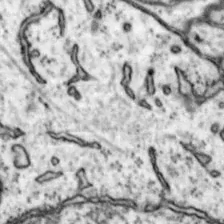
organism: Mouse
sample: Nucleus accumbens